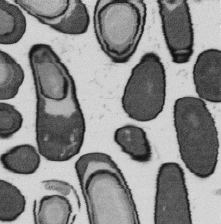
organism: B. subtilis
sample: Bacterial spore